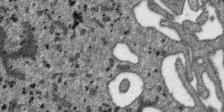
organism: Human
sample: Lung epithelial cells infected with SARS-CoV-2